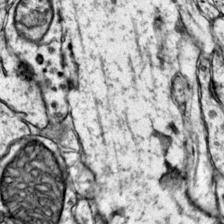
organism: Mouse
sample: Primary visual cortex